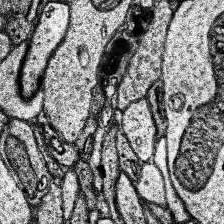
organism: Human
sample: Temporal Lobe